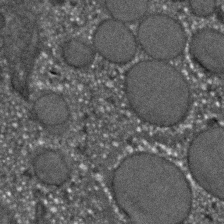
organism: C. elegans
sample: C. elegans embryo